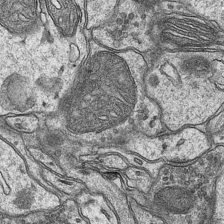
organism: Mouse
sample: CA1 Hippocampus